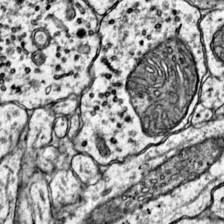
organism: Mouse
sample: Primary visual cortex